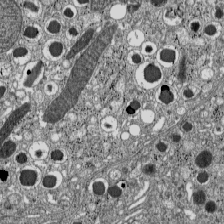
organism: C57BL Mouse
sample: Pancreatic islet